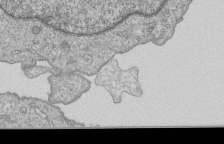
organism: Human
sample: MDA-MB-231 cells